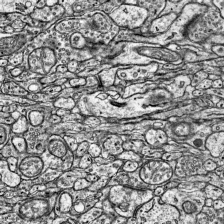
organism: Mouse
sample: Visual Cortex